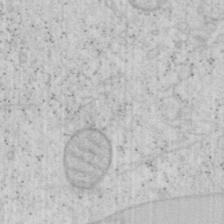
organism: Human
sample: HeLa cells